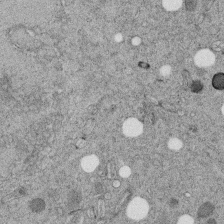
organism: C. elegans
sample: C. elegans embryo early stage